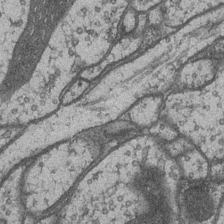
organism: Drosophila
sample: Optic medulla